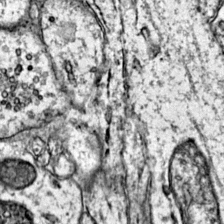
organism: Mouse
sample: Primary visual cortex